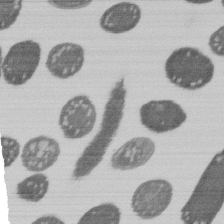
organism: E. coli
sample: Bacterial nucleoid